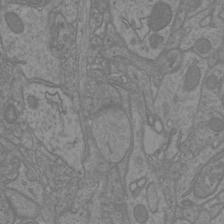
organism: Mouse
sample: Cortical neurons